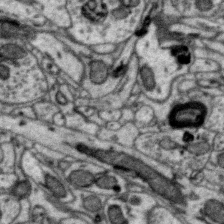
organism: Zebra finch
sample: Brain